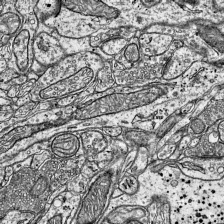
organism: Mouse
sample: Visual Cortex